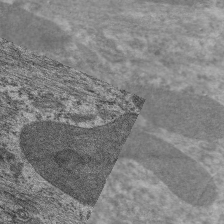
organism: C. elegans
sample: Pharynx